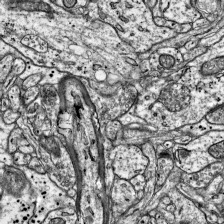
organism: Mouse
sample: Visual Cortex